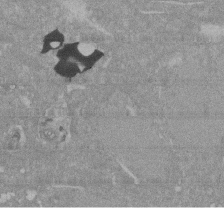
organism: Mouse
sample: ED-1 cell nuclei; centrioles